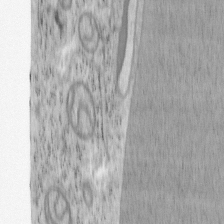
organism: Human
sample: HeLa cells